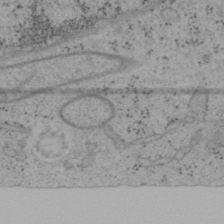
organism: Human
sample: HeLa cells